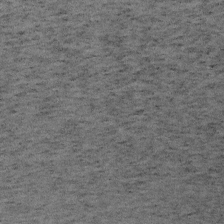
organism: Mouse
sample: OT-I killer T cells with ID8 ovarian cancer cells